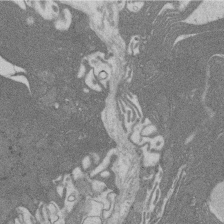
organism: Rat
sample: Salivary granule